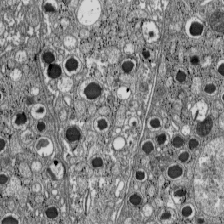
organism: C57BL Mouse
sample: Pancreatic islet